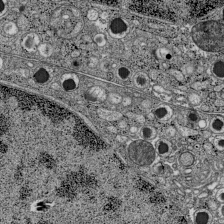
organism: C57BL Mouse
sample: Pancreatic islet